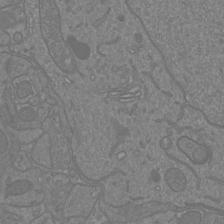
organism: Mouse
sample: Cortical neurons